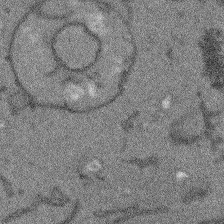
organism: Arabidopsis thaliana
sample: Root tip